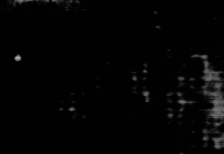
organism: C. elegans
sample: C. elegans embryo early stage